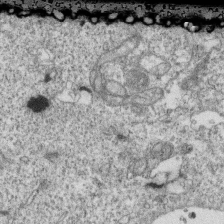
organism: Human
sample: HeLa cell HIV synapse